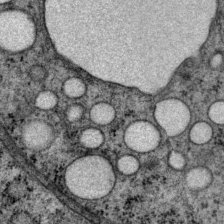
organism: P. pacificus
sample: Pharynx